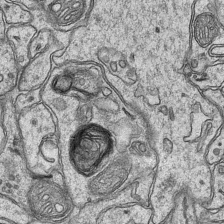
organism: Mouse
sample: CA1 Hippocampus